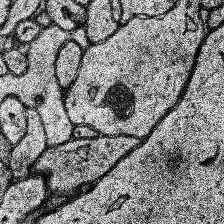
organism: Human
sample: Temporal Lobe